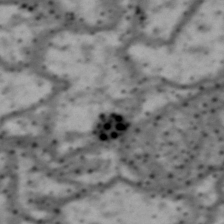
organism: Drosophila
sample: Brain